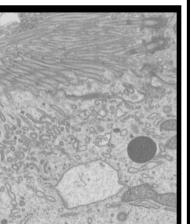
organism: Mouse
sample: Cilia; mouse epididymis